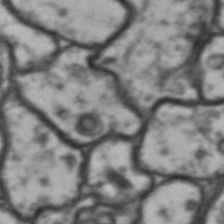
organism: Drosophila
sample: Brain